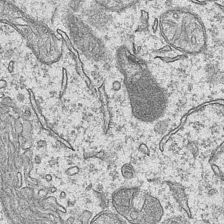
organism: Mouse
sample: CA1 Hippocampus